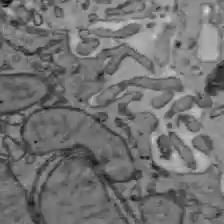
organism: C57BL Mouse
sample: Liver